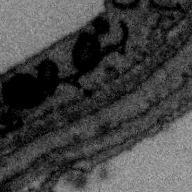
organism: Zebra finch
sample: Brain